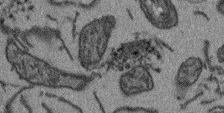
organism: Arabidopsis thaliana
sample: Root tip